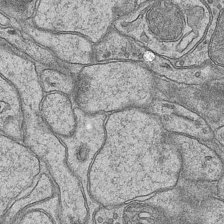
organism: Mouse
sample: CA1 Hippocampus